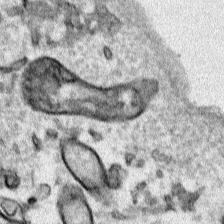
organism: Human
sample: Mitochondria in HCT116 cells